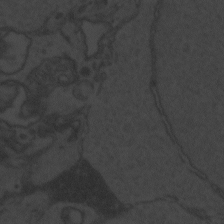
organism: Zebrafish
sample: Macrophage infected with Toxoplasma gondii